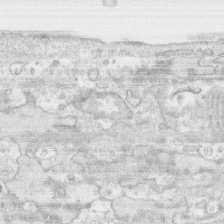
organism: Human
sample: CRL-1474